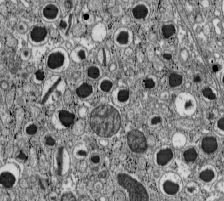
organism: C57BL Mouse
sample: Pancreatic islet